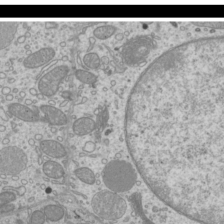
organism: Mouse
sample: Cilia; mouse epididymis